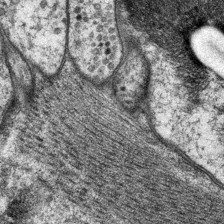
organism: P. pacificus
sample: Pharynx